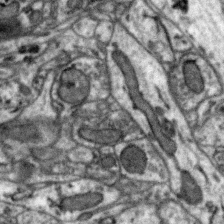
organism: Zebra finch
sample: Brain